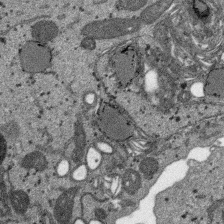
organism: Human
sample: Lung epithelial cells infected with SARS-CoV-2